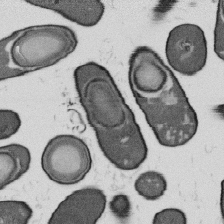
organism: B. subtilis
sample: Bacterial spore